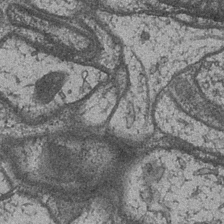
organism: Drosophila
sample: Optic medulla